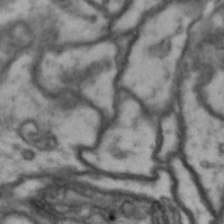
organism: Drosophila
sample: Brain